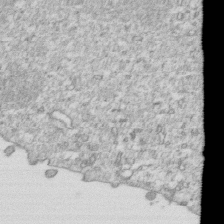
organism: Mouse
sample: Activated OT-1 CD8+ T cells